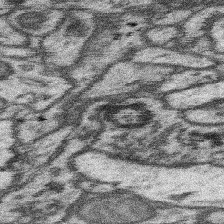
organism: Mouse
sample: Somatosensory cortex neuropil